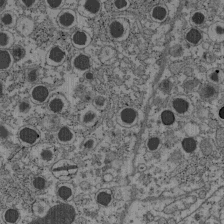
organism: C57BL Mouse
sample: Pancreatic islet